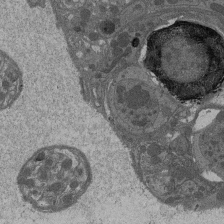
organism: Drosophila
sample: Antenna